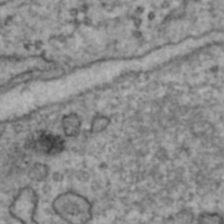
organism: Human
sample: Blood